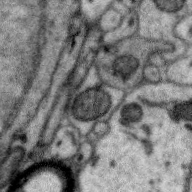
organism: Zebra finch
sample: Brain